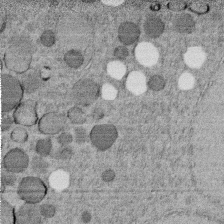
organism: C. elegans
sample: C. elegans embryo early stage